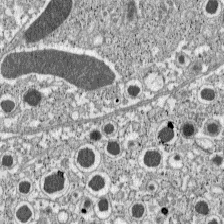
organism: C57BL Mouse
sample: Pancreatic islet